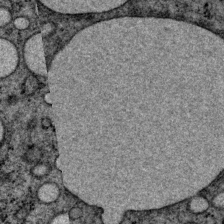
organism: P. pacificus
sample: Pharynx